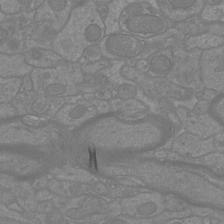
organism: Mouse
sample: Cortical neurons